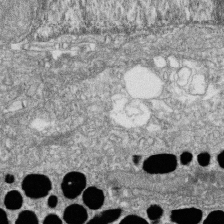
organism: Zebrafish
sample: Cilia; retinal pigment epithelium